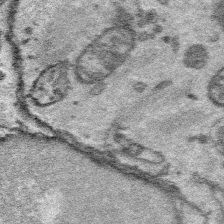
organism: Platynereis dumerilii